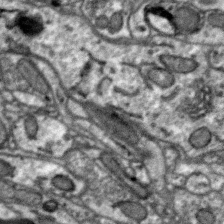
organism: Zebra finch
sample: Brain